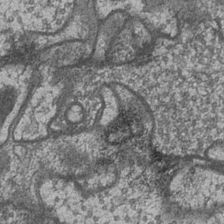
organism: Drosophila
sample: Optic medulla